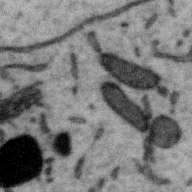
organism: Zebra finch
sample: Brain